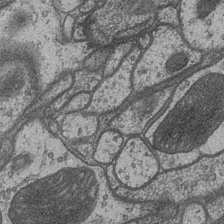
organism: Drosophila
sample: Optic medulla